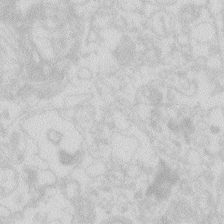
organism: Zebrafish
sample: Macrophage